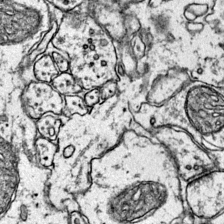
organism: Mouse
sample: Primary visual cortex